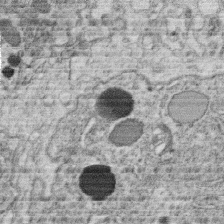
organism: C. elegans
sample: C. elegans oocyte; sperm cells